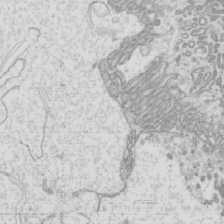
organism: Mouse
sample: Cilia; mouse epididymis